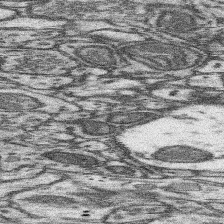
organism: Mouse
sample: Somatosensory cortex neuropil